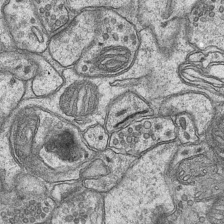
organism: Mouse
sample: CA1 Hippocampus